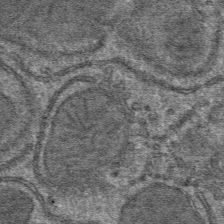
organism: Mouse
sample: Mouse hepatocytes